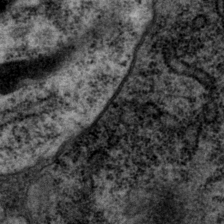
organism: P. pacificus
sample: Pharynx